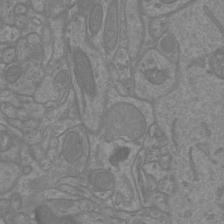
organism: Mouse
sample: Cortical neurons